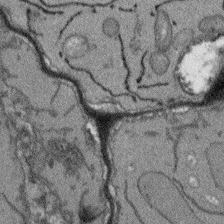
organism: Arabidopsis thaliana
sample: Root tip